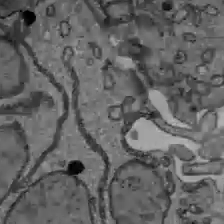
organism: C57BL Mouse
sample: Liver